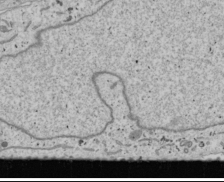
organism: Human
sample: Mitochondria in U2OS cells